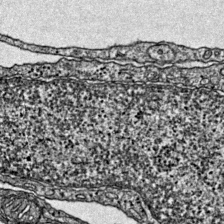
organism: Mouse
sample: Primary visual cortex